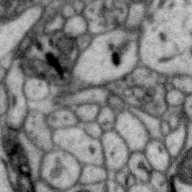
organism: Zebra finch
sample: Brain